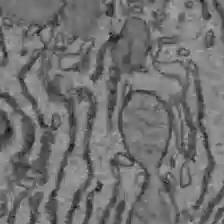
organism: C57BL Mouse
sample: Liver